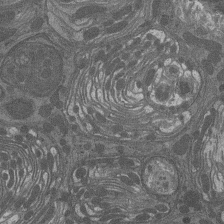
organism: Drosophila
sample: Antenna